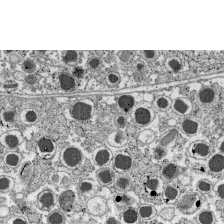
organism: C57BL Mouse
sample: Pancreatic islet